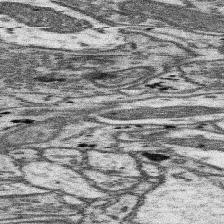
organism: Mouse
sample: Somatosensory cortex neuropil